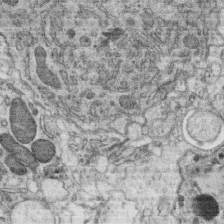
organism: C. elegans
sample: C. elegans oocyte; sperm cells